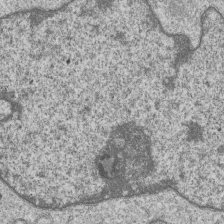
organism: Human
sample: MDA-MB-231 cells